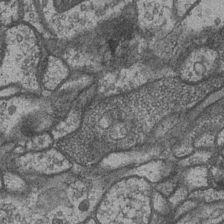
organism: Drosophila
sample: Optic medulla